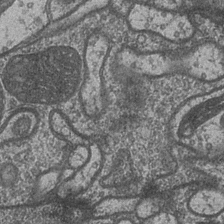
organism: Drosophila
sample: Optic medulla